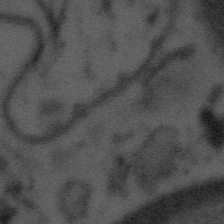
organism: Tuwongella immobilis